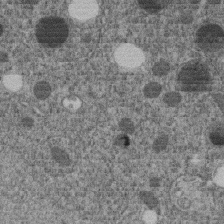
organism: C. elegans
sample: C. elegans embryo early stage